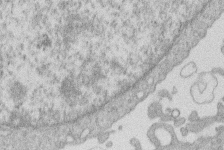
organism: Human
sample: Macrophage cells